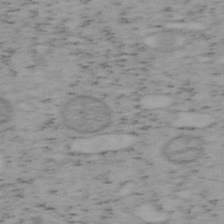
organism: Mouse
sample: OT-I killer T cells with ID8 ovarian cancer cells